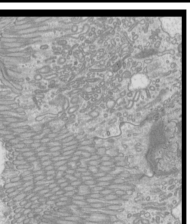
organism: Mouse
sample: Cilia; mouse epididymis